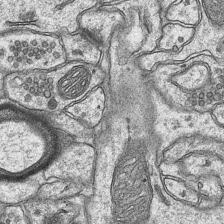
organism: Mouse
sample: CA1 Hippocampus